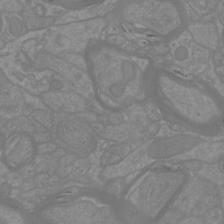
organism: Mouse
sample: Cortical neurons